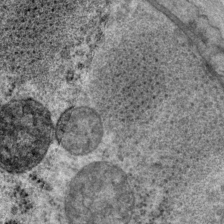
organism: P. pacificus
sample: Pharynx